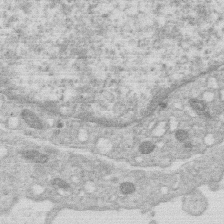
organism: Human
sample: Macrophage cells